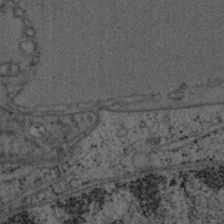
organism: Human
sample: HeLa cells